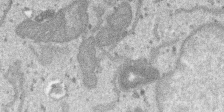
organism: Human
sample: Lung epithelial cells infected with SARS-CoV-2